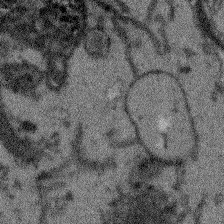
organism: Arabidopsis thaliana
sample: Root tip